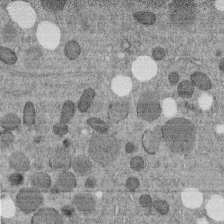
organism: C. elegans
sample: C. elegans embryo early stage